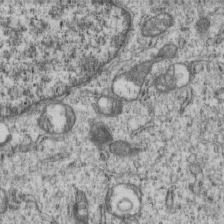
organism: Human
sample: MDA-MB-231 cells